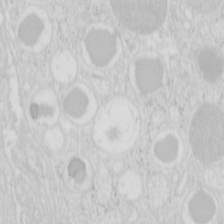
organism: Mouse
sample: Pancreas